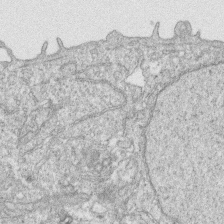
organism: Human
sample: HeLa cell HIV synapse